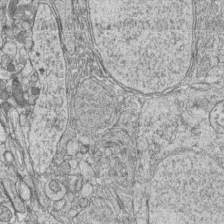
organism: Zebrafish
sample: synaptic ribbons in rod cells and cone cells